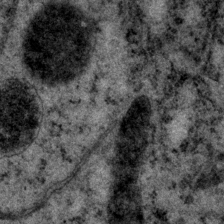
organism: P. pacificus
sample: Pharynx